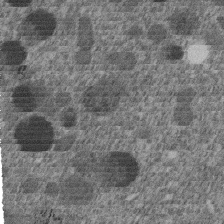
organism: C. elegans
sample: C. elegans embryo early stage